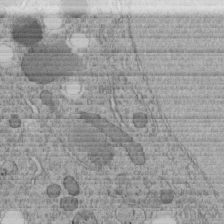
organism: C. elegans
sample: C. elegans embryo early stage